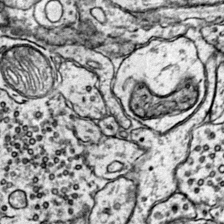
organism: Mouse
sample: Primary visual cortex